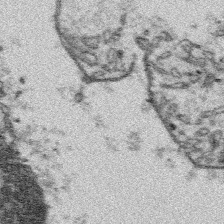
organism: Platynereis dumerilii